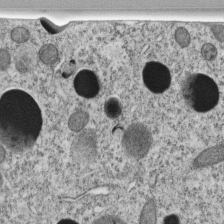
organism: C. elegans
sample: C. elegans embryo early stage